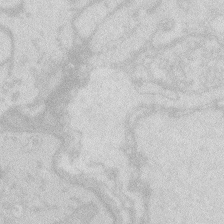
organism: Zebrafish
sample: Macrophage